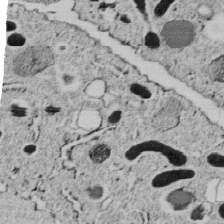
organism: C. elegans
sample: C. elegans embryo early stage